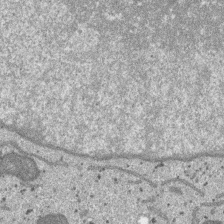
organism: Human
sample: Lung epithelial cells infected with SARS-CoV-2